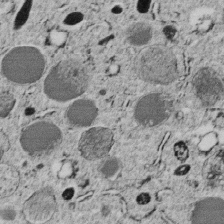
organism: C. elegans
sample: C. elegans embryo early stage